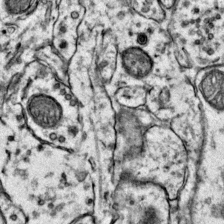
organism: Mouse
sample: Primary visual cortex